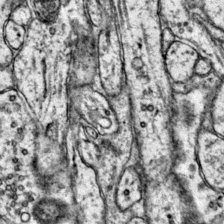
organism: Mouse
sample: Primary visual cortex